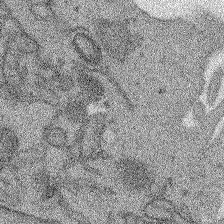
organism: Human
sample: HeLa cells